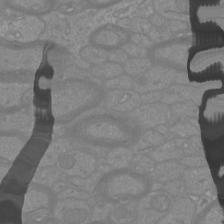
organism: Mouse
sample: Cortical neurons